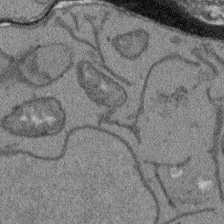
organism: Arabidopsis thaliana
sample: Root tip